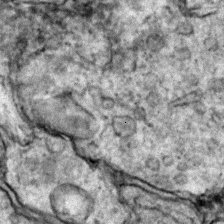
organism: Zebrafish